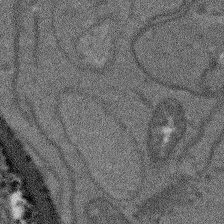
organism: Arabidopsis thaliana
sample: Root tip